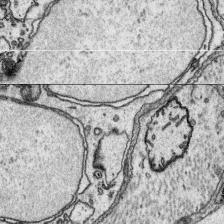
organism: Platynereis dumerilii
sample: Parapodia